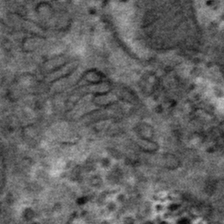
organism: Mouse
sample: Mouse hepatocytes